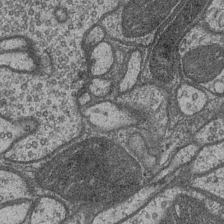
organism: Drosophila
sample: Optic medulla